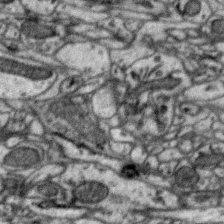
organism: Zebra finch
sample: Brain